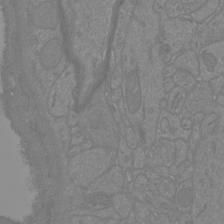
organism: Mouse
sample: Cortical neurons